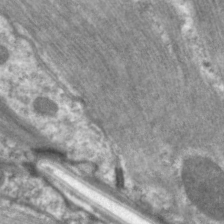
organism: C. elegans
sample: Pharynx